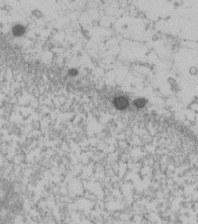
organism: Human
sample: U2-OS cells